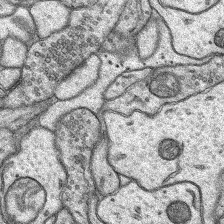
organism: Rat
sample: Hippocampus